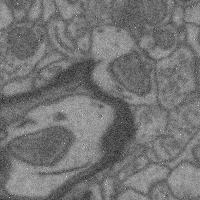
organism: Mouse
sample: Cerebral cortex